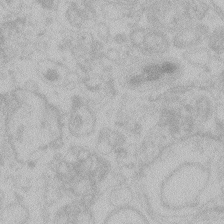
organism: Zebrafish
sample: Macrophage infected with Toxoplasma gondii